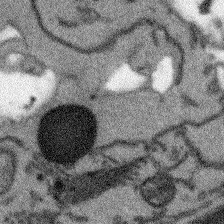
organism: Arabidopsis thaliana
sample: Root tip